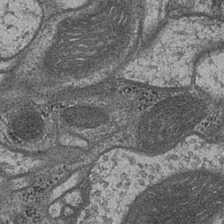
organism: Drosophila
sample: Optic medulla